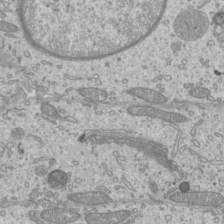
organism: Mouse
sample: Cilia; mouse epididymis